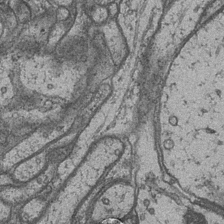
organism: Drosophila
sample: Optic medulla